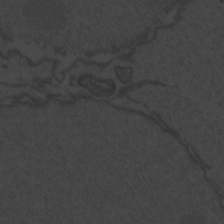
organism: Zebrafish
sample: Macrophage infected with Toxoplasma gondii